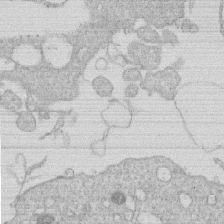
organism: Human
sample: Macrophage cells